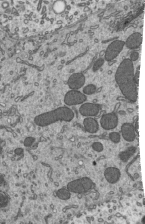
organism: Mouse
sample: Mouse epididymis efferent ductule cilia